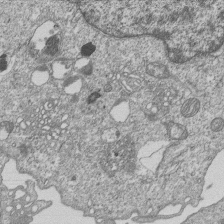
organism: Human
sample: MDA-MB-231 cells